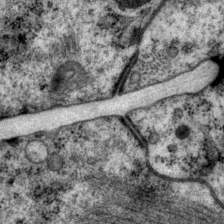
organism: P. pacificus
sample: Pharynx